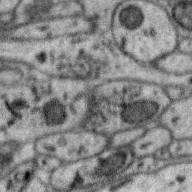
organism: Zebra finch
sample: Brain